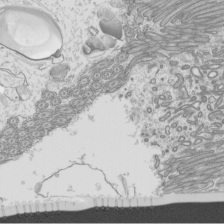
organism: Mouse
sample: Cilia; mouse epididymis